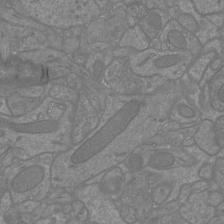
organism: Mouse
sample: Cortical neurons